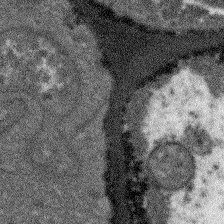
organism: Arabidopsis thaliana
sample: Root tip